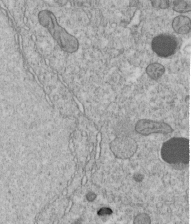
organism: C. elegans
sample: C. elegans embryo early stage